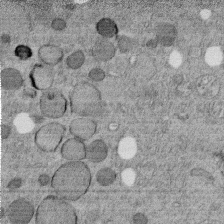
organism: C. elegans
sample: C. elegans embryo early stage